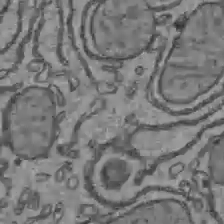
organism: C57BL Mouse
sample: Liver